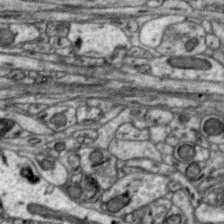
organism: Zebra finch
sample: Brain